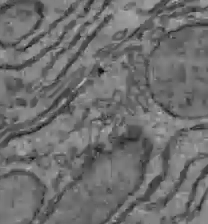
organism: C57BL Mouse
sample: Liver